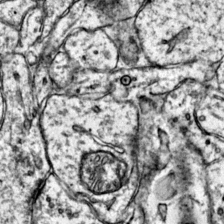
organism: Mouse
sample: Primary visual cortex